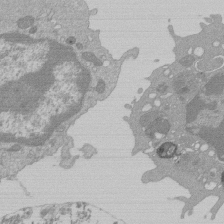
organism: Mouse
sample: Activated Pmel transgenic CD8+ T Cells